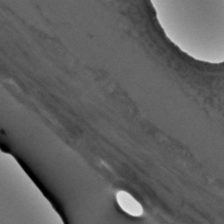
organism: C. elegans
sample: C. elegans embryo